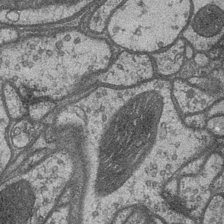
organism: Drosophila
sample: Optic medulla